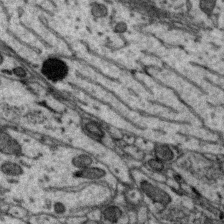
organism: Zebra finch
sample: Brain